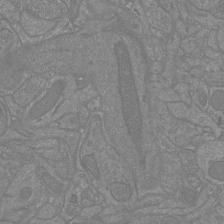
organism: Mouse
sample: Cortical neurons